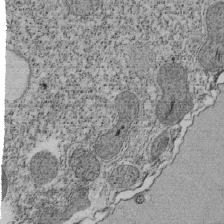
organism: Tetrahymena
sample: Cilia in tetrahymena